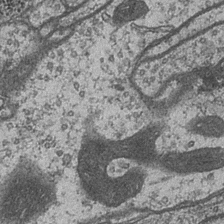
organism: Drosophila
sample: Optic medulla